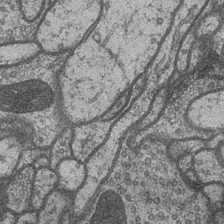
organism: Drosophila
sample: Optic medulla